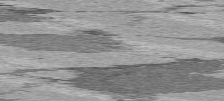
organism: C57BL Mouse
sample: Heart